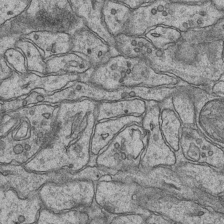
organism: Mouse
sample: CA1 Hippocampus